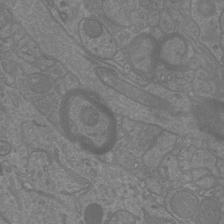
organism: Mouse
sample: Cortical neurons